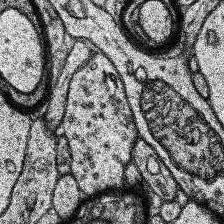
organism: Human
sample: Temporal Lobe